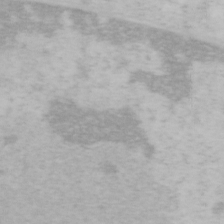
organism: Mouse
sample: OT-I killer T cells with ID8 ovarian cancer cells